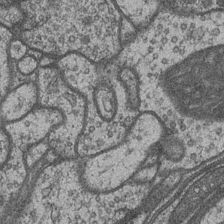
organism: Drosophila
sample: Optic medulla